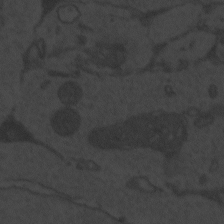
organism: Zebrafish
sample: Macrophage infected with Toxoplasma gondii